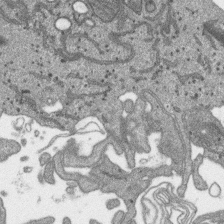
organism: Human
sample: Lung epithelial cells infected with SARS-CoV-2